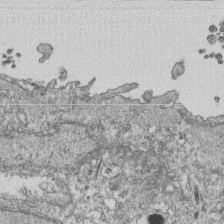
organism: Human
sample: HeLa cell HIV synapse